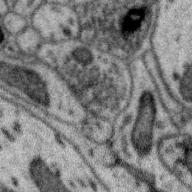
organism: Zebra finch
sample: Brain